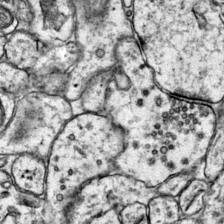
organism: Mouse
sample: Primary visual cortex